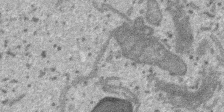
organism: Human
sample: Lung epithelial cells infected with SARS-CoV-2